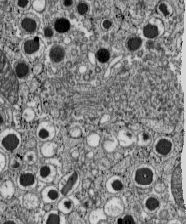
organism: C57BL Mouse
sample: Pancreatic islet